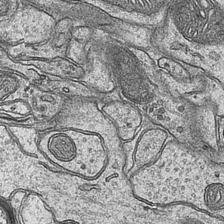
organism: Mouse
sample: CA1 Hippocampus